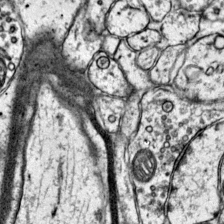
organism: Mouse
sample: Primary visual cortex